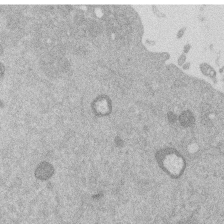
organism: Mouse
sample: Dividing mouse embryo 1 cell stage